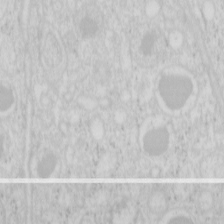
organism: Mouse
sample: Pancreas